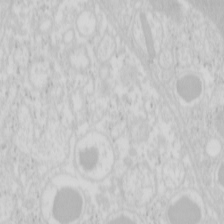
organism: Mouse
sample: Pancreas